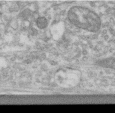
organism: Human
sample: Centriole in RPE cells